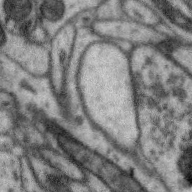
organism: Zebra finch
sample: Brain